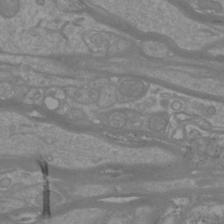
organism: Mouse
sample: Cortical neurons